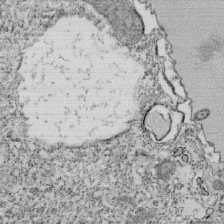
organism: Tetrahymena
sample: Cilia in tetrahymena